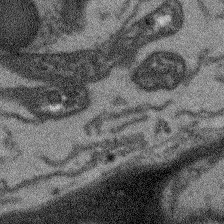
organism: Arabidopsis thaliana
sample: Root tip